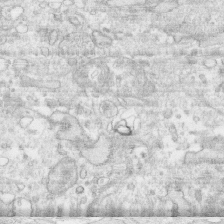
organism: Human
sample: CRL-1474